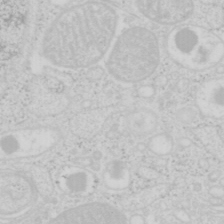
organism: Mouse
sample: Pancreas